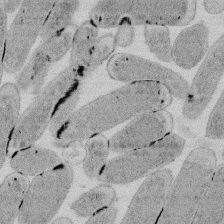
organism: E. coli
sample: Bacterial nucleoid